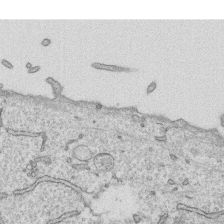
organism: Human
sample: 1205lu cells